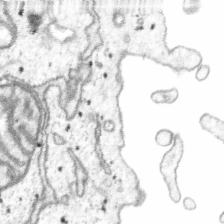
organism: Human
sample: HeLa cells